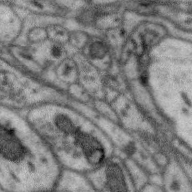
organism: Zebra finch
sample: Brain